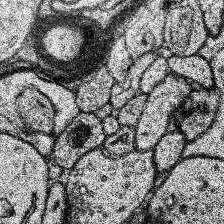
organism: Human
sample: Temporal Lobe